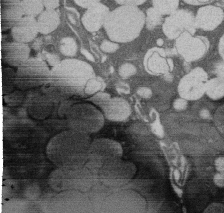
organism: Rat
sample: Salivary granule